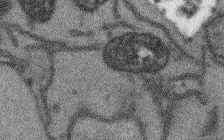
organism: Arabidopsis thaliana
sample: Root tip